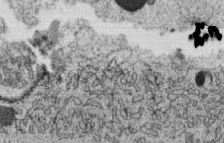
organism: C. elegans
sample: C. elegans oocyte; sperm cells